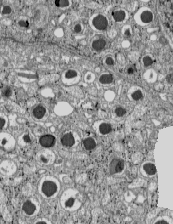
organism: C57BL Mouse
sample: Pancreatic islet